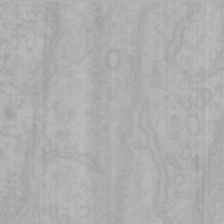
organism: Mouse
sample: Choroid plexus